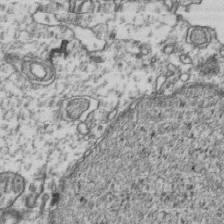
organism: Human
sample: Activated Jurkat CD4+ T cells